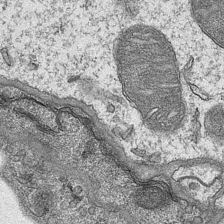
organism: Mouse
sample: CA1 Hippocampus